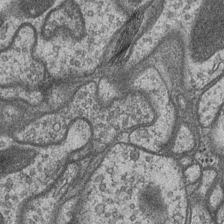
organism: Drosophila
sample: Optic medulla